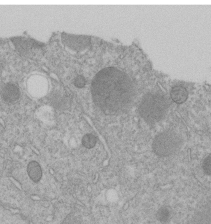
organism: C. elegans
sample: C. elegans embryo early stage